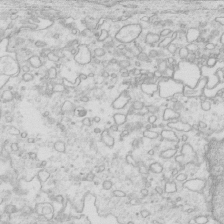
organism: Mouse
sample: Multiciliated cells